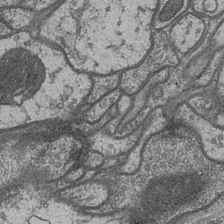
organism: Drosophila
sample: Optic medulla